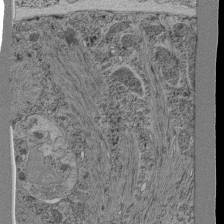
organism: C. elegans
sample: C. elegans pharynx